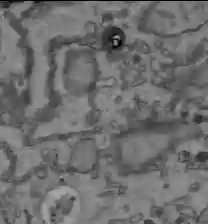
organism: C57BL Mouse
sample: Liver